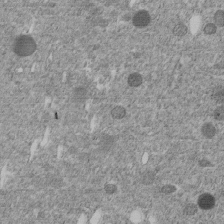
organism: C. elegans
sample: C. elegans embryo early stage